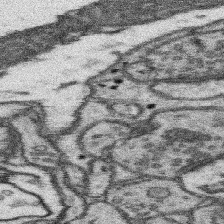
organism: Mouse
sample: Somatosensory cortex neuropil